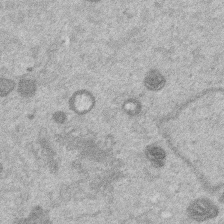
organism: Mouse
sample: Dividing mouse embryo 1 cell stage